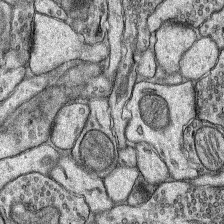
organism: Rat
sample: Hippocampus